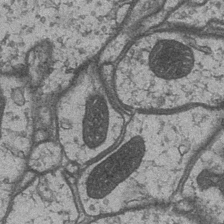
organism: Drosophila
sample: Optic medulla